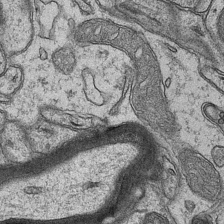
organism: Mouse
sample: CA1 Hippocampus